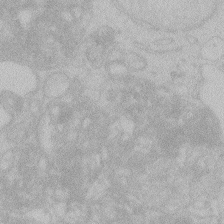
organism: Zebrafish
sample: Macrophage infected with Toxoplasma gondii